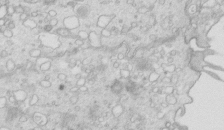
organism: Mouse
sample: Multiciliated cells